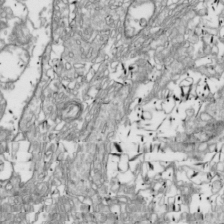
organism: Drosophila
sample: Cell division; meiosis; drosophila spermatocytes